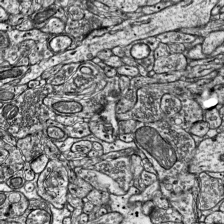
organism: Mouse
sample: Visual Cortex